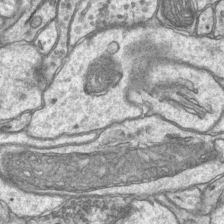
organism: Mouse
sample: CA1 Hippocampus